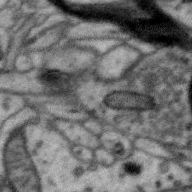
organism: Zebra finch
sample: Brain